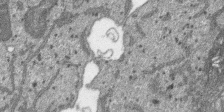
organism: Human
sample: Lung epithelial cells infected with SARS-CoV-2